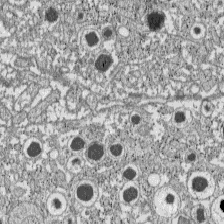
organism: C57BL Mouse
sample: Pancreatic islet